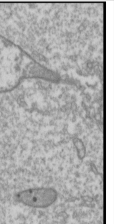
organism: Drosophila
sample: Cell division; meiosis; drosophila spermatocytes